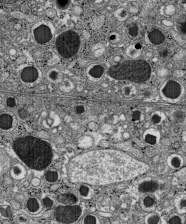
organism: C57BL Mouse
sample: Pancreatic islet